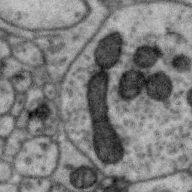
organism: Zebra finch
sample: Brain